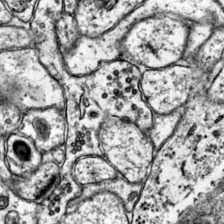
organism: Mouse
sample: Primary visual cortex